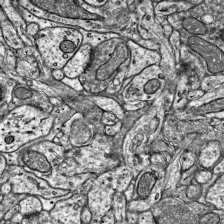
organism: Mouse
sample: Visual Cortex